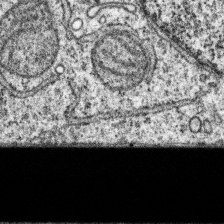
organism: Human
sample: HeLa cells